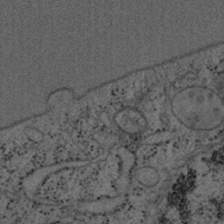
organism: Human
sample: HeLa cells